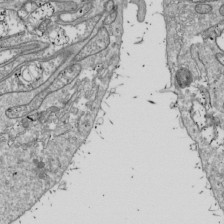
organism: Drosophila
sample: Cell division; meiosis; drosophila spermatocytes